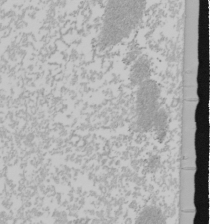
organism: Mouse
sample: Cancer cell death in ED-1 cells